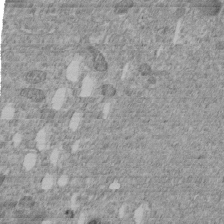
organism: C. elegans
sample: C. elegans embryo early stage